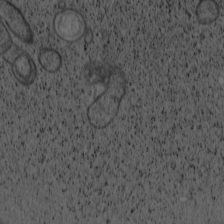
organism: African green monkey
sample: COS-7 cells